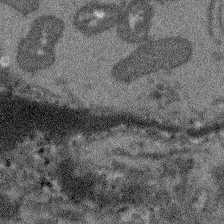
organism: Arabidopsis thaliana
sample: Root tip